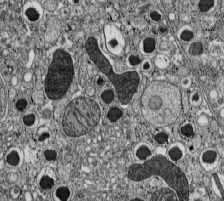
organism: C57BL Mouse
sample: Pancreatic islet